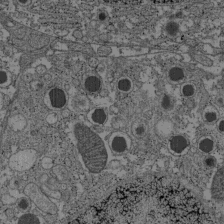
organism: C57BL Mouse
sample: Pancreatic islet